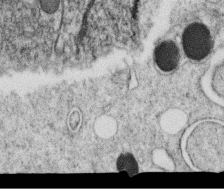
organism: C. elegans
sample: C. elegans oocyte; sperm cells